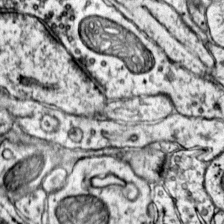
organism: Mouse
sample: Primary visual cortex